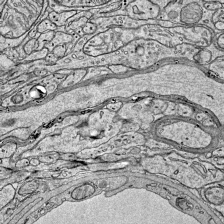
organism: Mouse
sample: Visual Cortex